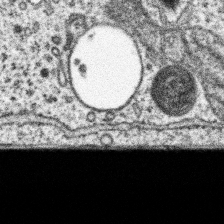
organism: Human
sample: HeLa cells